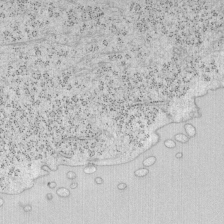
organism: Mouse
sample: OT-I killer T cells with ID8 ovarian cancer cells